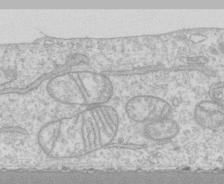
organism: Human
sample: CRL-1474